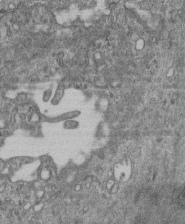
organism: Mouse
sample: Centriole in ependymal cells